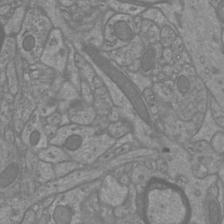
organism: Mouse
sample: Cortical neurons